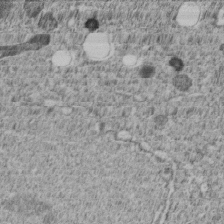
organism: C. elegans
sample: C. elegans embryo early stage